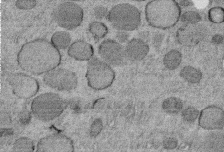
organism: C. elegans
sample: C. elegans embryo early stage